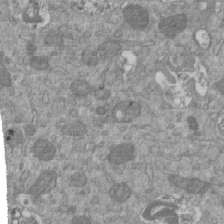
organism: Mouse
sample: ED-1 cell nuclei; centrioles